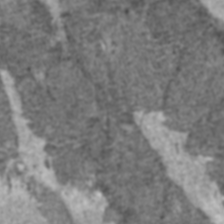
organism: C57BL Mouse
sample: Heart